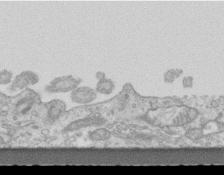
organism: Mouse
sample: Centriole in ependymal cells